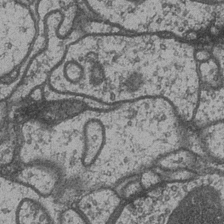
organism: Drosophila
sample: Optic medulla